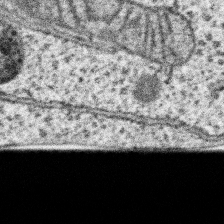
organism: Human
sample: HeLa cells